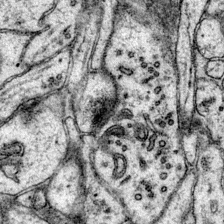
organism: Mouse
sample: Primary visual cortex